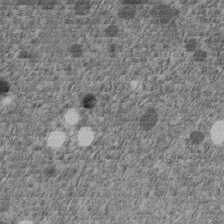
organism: C. elegans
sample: C. elegans embryo early stage